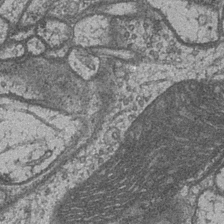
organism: Drosophila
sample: Optic medulla